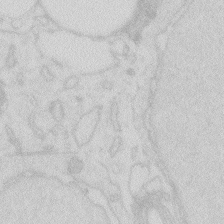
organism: Zebrafish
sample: Macrophage